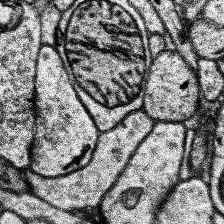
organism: Human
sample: Temporal Lobe